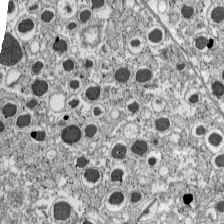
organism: C57BL Mouse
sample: Pancreatic islet